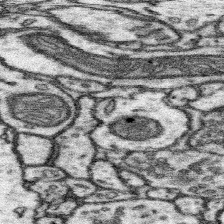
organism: Mouse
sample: Somatosensory cortex neuropil